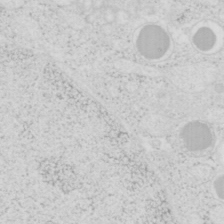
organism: Mouse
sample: Pancreas